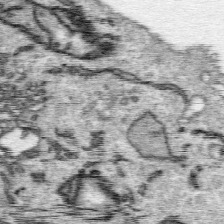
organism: Human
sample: HeLa cells